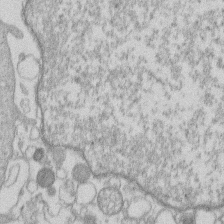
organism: Human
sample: Macrophage cells